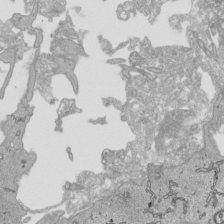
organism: Human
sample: Mitochondria in HCT116 cells